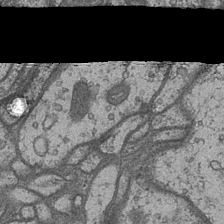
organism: Drosophila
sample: Optic medulla